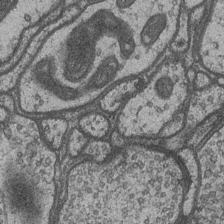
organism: Drosophila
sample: Optic medulla